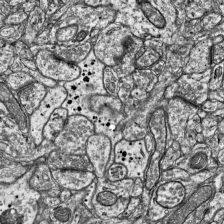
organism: Mouse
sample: Visual Cortex